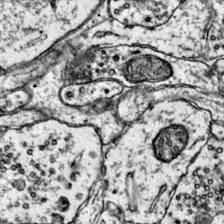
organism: Mouse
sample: Primary visual cortex